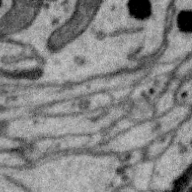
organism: Zebra finch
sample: Brain